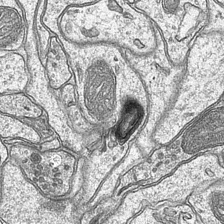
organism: Mouse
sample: CA1 Hippocampus